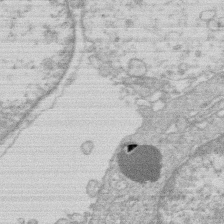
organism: Human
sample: Macrophage cells